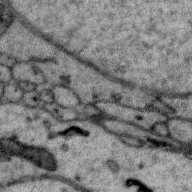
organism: Zebra finch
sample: Brain